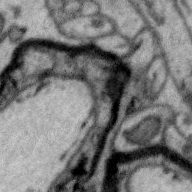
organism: Zebra finch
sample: Brain